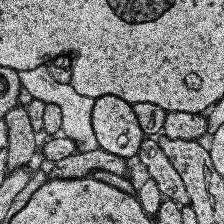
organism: Human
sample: Temporal Lobe